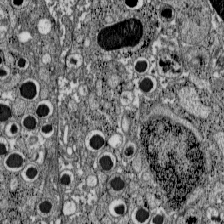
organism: C57BL Mouse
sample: Pancreatic islet